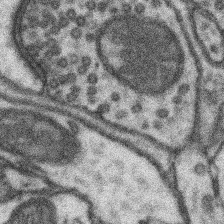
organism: Mouse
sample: Somatosensory cortex neuropil